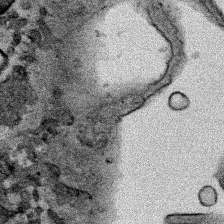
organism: Human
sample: Mitochondria in HCT116 cells